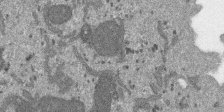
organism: Human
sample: Lung epithelial cells infected with SARS-CoV-2